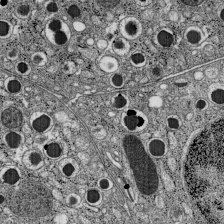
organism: C57BL Mouse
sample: Pancreatic islet